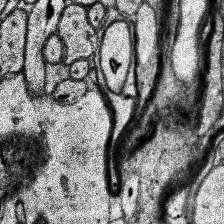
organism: Human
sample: Temporal Lobe